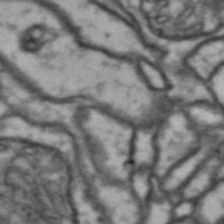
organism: Drosophila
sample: Brain